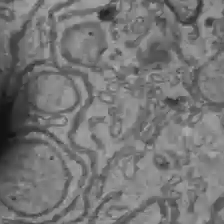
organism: C57BL Mouse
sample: Liver